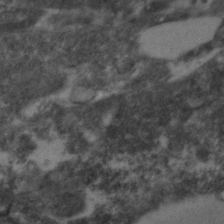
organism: Zebrafish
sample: Zebrafish embryo